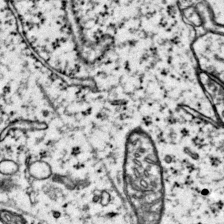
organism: Mouse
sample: Primary visual cortex